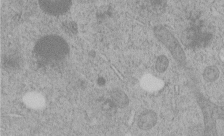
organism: C. elegans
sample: C. elegans embryo early stage